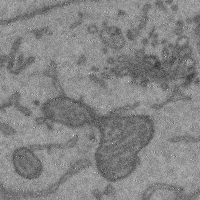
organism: Mouse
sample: Cerebral cortex